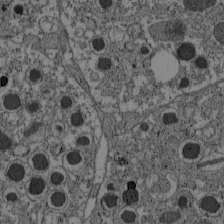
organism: C57BL Mouse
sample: Pancreatic islet